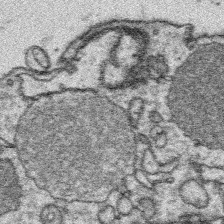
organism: Platynereis dumerilii